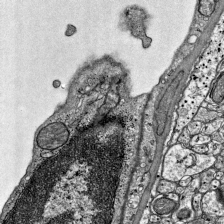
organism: Mouse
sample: Visual Cortex